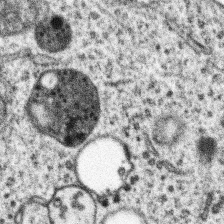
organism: Human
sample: HeLa cells